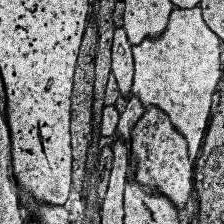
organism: Human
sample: Temporal Lobe